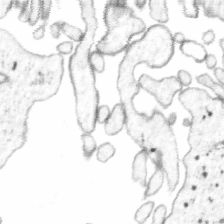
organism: Human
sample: HeLa cells